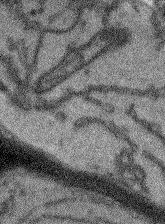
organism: Arabidopsis thaliana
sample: Root tip